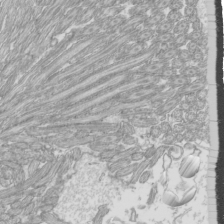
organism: Mouse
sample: Cilia; mouse epididymis